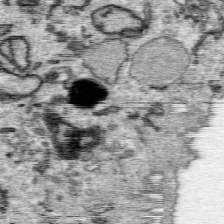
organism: Human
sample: HeLa cells